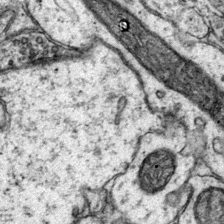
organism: Mouse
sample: Primary visual cortex